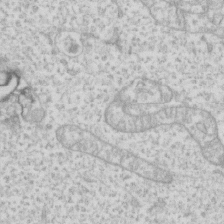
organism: Human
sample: Fibroblast cells